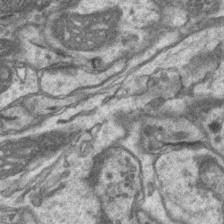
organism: Mouse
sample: CA1 Hippocampus